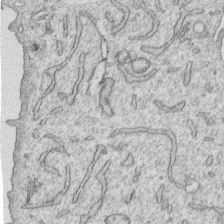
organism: Human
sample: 1205lu cells